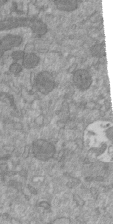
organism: Mouse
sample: ED-1 cell nuclei; centrioles